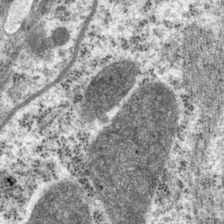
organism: P. pacificus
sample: Pharynx